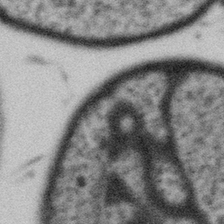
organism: Gemmata obscuriglobus